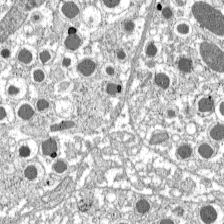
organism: C57BL Mouse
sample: Pancreatic islet